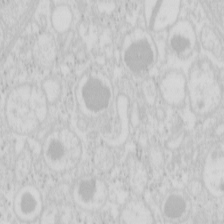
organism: Mouse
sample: Pancreas